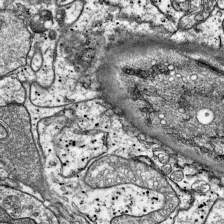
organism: Mouse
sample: Visual Cortex